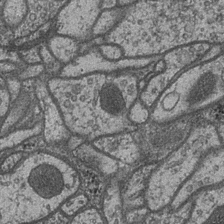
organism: Drosophila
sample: Optic medulla